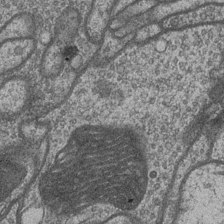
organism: Drosophila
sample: Optic medulla